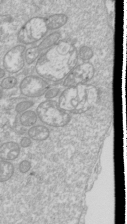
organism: Drosophila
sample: Cell division; meiosis; drosophila spermatocytes